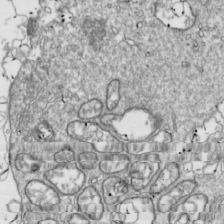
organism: Drosophila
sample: Cell division; meiosis; drosophila spermatocytes